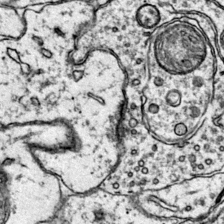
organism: Mouse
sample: Primary visual cortex